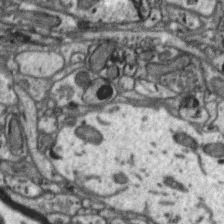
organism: Zebra finch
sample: Brain